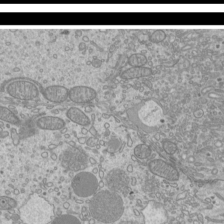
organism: Mouse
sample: Cilia; mouse epididymis